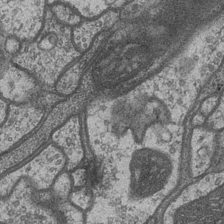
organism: Drosophila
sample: Optic medulla